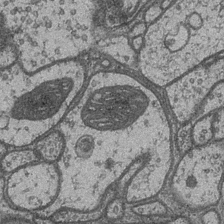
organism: Drosophila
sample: Optic medulla